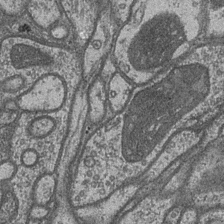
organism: Drosophila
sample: Optic medulla